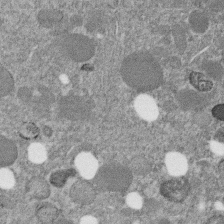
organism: C. elegans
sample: C. elegans embryo early stage